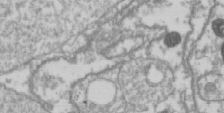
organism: Drosophila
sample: Cell division; meiosis; drosophila spermatocytes